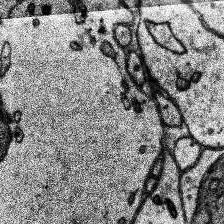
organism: Human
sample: Temporal Lobe